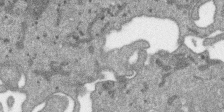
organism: Human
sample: Lung epithelial cells infected with SARS-CoV-2